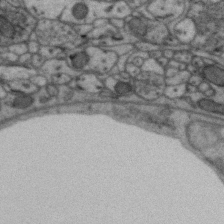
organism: Zebra finch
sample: Brain